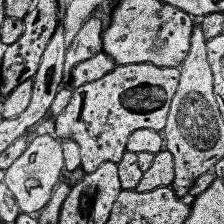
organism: Human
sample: Temporal Lobe